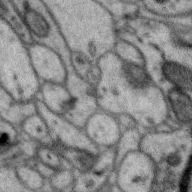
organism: Zebra finch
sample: Brain